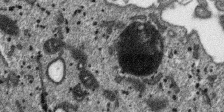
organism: Human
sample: Lung epithelial cells infected with SARS-CoV-2